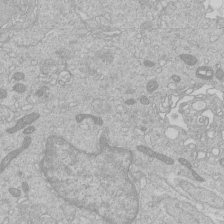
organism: Human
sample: Macrophage cells